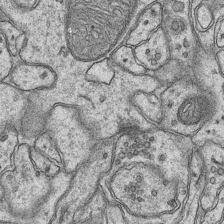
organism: Mouse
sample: CA1 Hippocampus